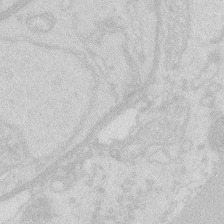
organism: Zebrafish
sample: Macrophage